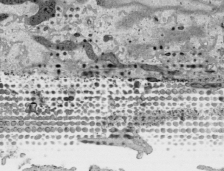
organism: Human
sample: Mitochondria in HCT116 cells